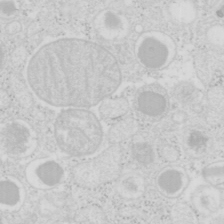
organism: Mouse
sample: Pancreas